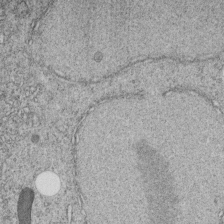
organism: C. elegans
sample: C. elegans embryo early stage